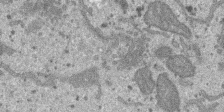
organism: Human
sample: Lung epithelial cells infected with SARS-CoV-2